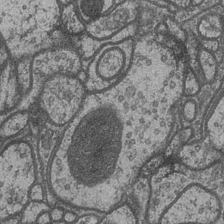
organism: Drosophila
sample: Optic medulla